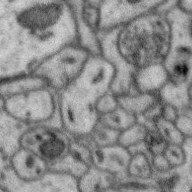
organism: Zebra finch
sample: Brain